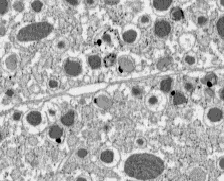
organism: C57BL Mouse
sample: Pancreatic islet